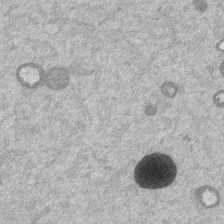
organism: Mouse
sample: Dividing mouse embryo 1 cell stage